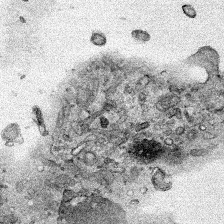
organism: Human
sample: Mitochondria in HCT116 cells